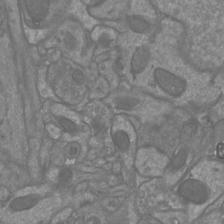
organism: Mouse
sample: Cortical neurons